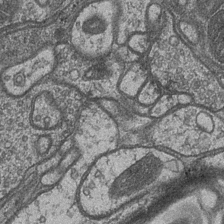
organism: Drosophila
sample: Optic medulla